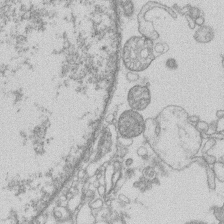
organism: Human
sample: Macrophage cells